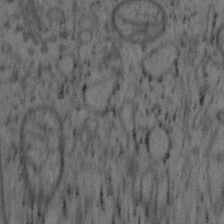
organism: Human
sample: HeLa cells